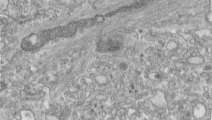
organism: Human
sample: Centriole in RPE cells